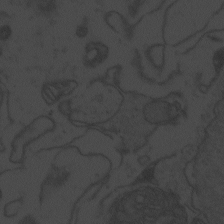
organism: Zebrafish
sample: Macrophage infected with Toxoplasma gondii